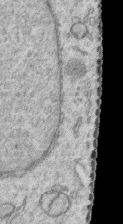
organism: Human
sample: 1205lu cells